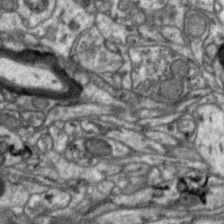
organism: Zebra finch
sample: Brain